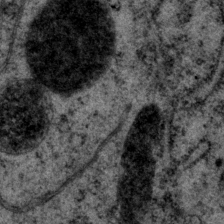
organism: P. pacificus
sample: Pharynx